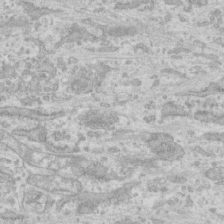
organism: Human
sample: CRL-1474